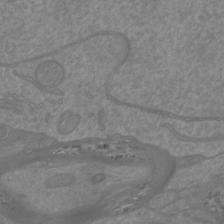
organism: Mouse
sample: Cortical neurons